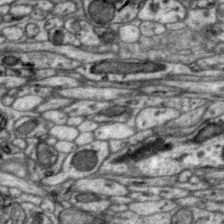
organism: Zebra finch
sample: Brain